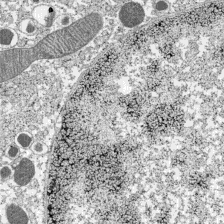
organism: C57BL Mouse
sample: Pancreatic islet